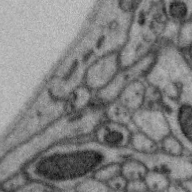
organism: Zebra finch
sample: Brain